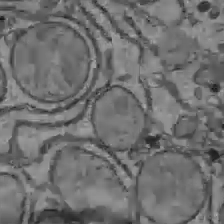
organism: C57BL Mouse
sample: Liver